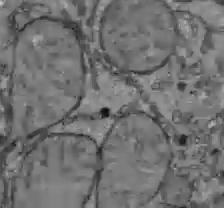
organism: C57BL Mouse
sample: Liver